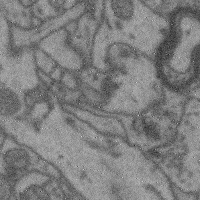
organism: Mouse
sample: Cerebral cortex